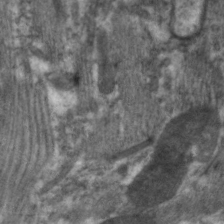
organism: C. elegans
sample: Pharynx